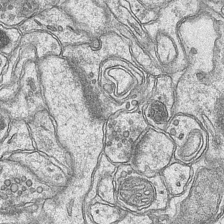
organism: Mouse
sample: CA1 Hippocampus